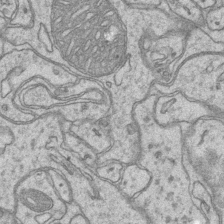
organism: Mouse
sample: CA1 Hippocampus